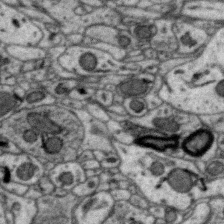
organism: Zebra finch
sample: Brain